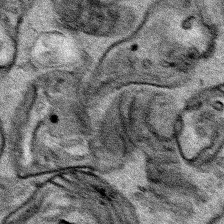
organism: Human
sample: Mitochondria in HCT116 cells